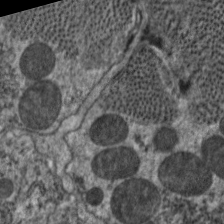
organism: C. elegans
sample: Pharynx